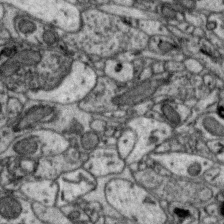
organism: Zebra finch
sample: Brain